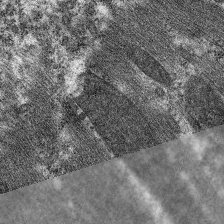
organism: C. elegans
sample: Pharynx